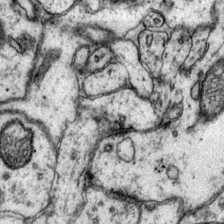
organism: Mouse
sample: Primary visual cortex